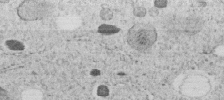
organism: C. elegans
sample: C. elegans embryo early stage